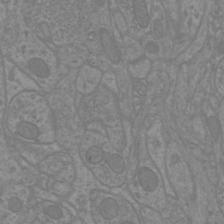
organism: Mouse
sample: Cortical neurons